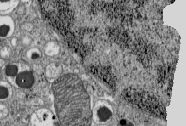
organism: C57BL Mouse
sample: Pancreatic islet